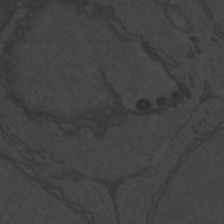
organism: Zebrafish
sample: Macrophage infected with Toxoplasma gondii